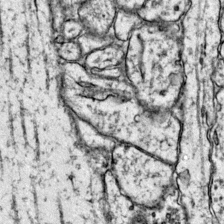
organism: Mouse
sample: Primary visual cortex